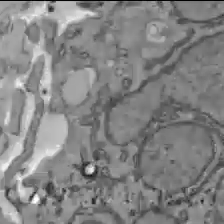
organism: C57BL Mouse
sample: Liver